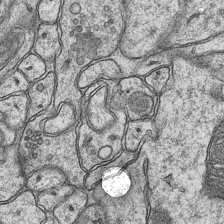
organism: Mouse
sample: CA1 Hippocampus